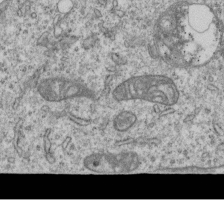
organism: Human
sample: MDA-MB-231 cells